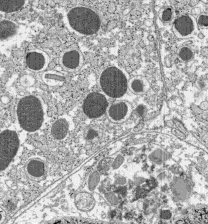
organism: C57BL Mouse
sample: Pancreatic islet